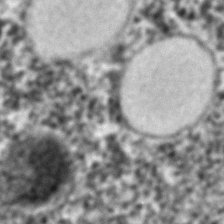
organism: C. elegans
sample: C. elegans embryo